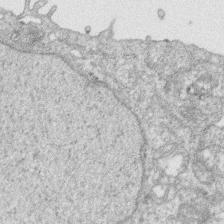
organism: Human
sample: HeLa cell HIV synapse